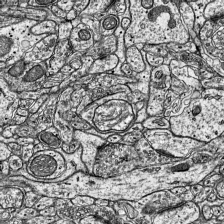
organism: Mouse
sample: Visual Cortex